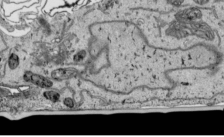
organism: Human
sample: Mitochondria in HCT116 cells